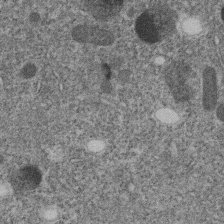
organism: C. elegans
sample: C. elegans embryo early stage